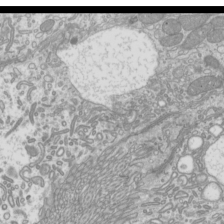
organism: Mouse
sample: Cilia; mouse epididymis